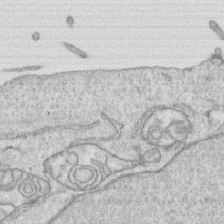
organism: Human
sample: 1205lu cells